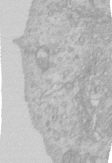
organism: Human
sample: Centriole in RPE cells